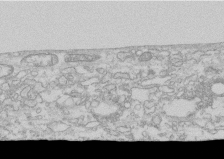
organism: Human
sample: CRL-1474